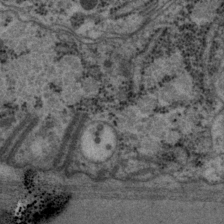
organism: P. pacificus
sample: Pharynx